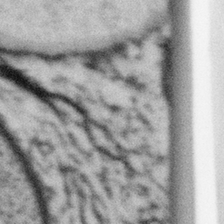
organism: Gemmata obscuriglobus